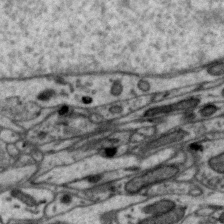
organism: Zebra finch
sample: Brain